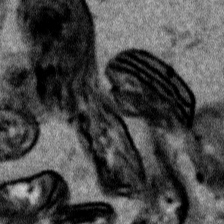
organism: Human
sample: Mitochondria in HCT116 cells